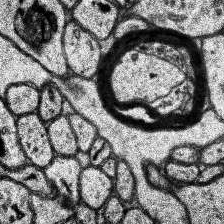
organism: Human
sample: Temporal Lobe